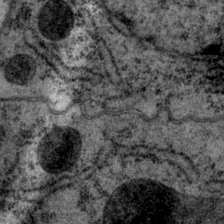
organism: P. pacificus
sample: Pharynx